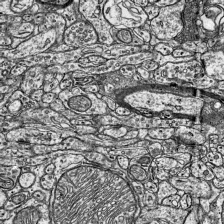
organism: Mouse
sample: Visual Cortex